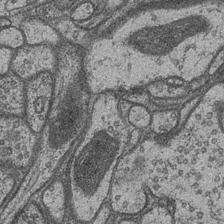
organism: Drosophila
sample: Optic medulla